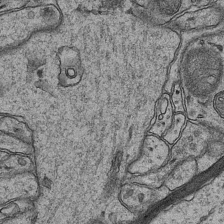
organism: Mouse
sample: CA1 Hippocampus